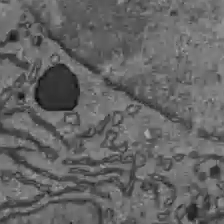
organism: C57BL Mouse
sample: Liver